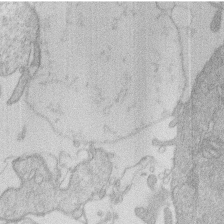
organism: Human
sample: Macrophage cells